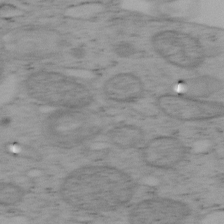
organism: Mouse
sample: OT-I killer T cells with ID8 ovarian cancer cells